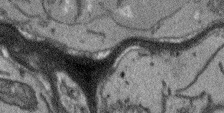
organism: Arabidopsis thaliana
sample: Root tip